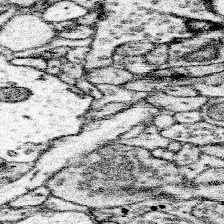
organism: Mouse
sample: Somatosensory cortex neuropil